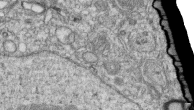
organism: Human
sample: HeLa cell HIV synapse